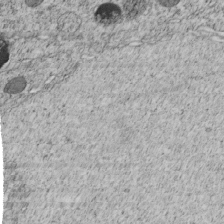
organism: C. elegans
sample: C. elegans embryo early stage